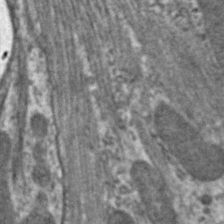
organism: C. elegans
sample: Pharynx